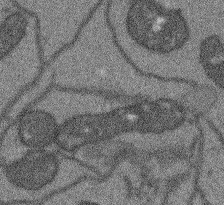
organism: Arabidopsis thaliana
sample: Root tip